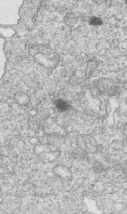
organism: Human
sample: HeLa cell HIV synapse